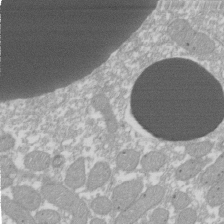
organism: Xenopus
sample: Cilia; centrioles in frog embryo cells